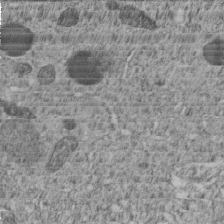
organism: C. elegans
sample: C. elegans embryo early stage